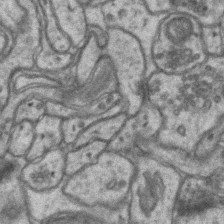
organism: Mouse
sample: CA1 Hippocampus